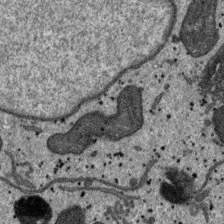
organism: Human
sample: Lung epithelial cells, uninfected (mock) control